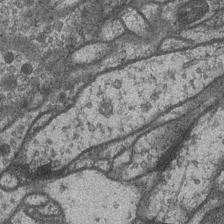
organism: Drosophila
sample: Optic medulla